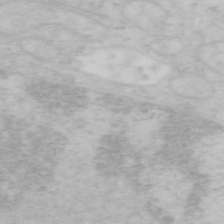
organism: Mouse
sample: OT-I killer T cells with ID8 ovarian cancer cells